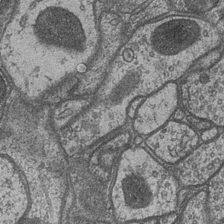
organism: Drosophila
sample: Optic medulla